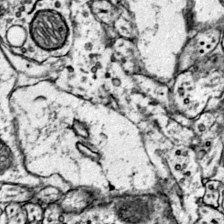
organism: Mouse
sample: Primary visual cortex